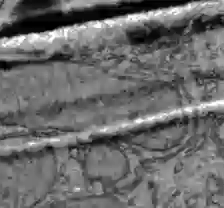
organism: C57BL Mouse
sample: Liver